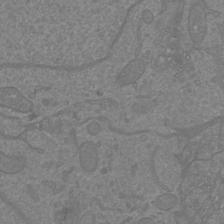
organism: Mouse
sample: Cortical neurons